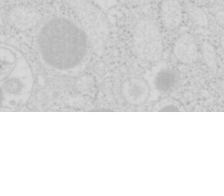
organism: Mouse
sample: Pancreas